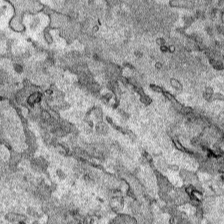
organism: Human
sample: Mitochondria in HCT116 cells